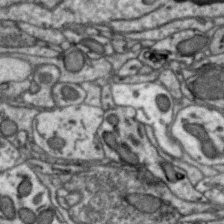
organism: Zebra finch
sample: Brain